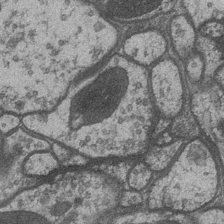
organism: Drosophila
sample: Optic medulla